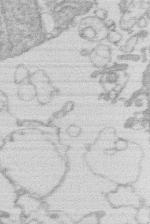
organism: Human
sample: Macrophage cells